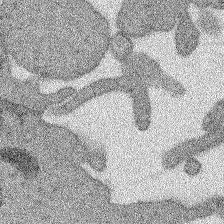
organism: Human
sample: HeLa cells